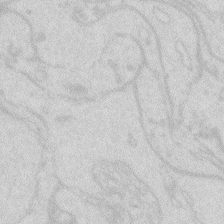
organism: Zebrafish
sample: Macrophage